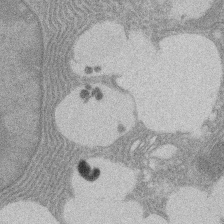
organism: Rat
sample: Salivary granule